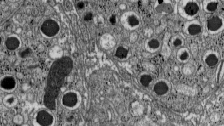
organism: C57BL Mouse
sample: Pancreatic islet